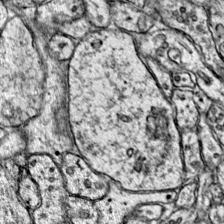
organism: Mouse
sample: Primary visual cortex